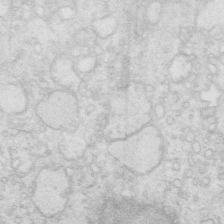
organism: Mouse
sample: Multiciliated cells